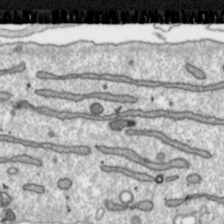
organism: Toxoplasma gondii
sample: Parasites in a vacuole inside a host cell